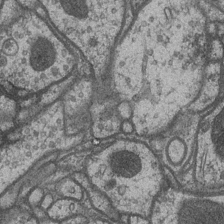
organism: Drosophila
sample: Optic medulla